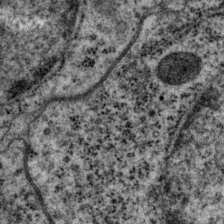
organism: P. pacificus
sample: Pharynx